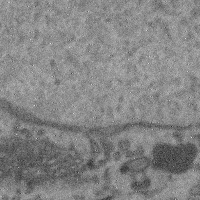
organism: Mouse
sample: Cerebral cortex